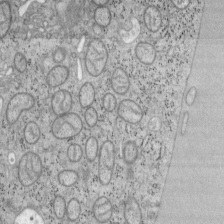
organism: Mouse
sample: OT-I killer T cells with ID8 ovarian cancer cells